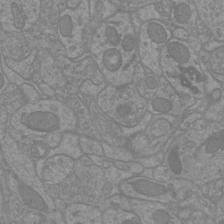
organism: Mouse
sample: Cortical neurons